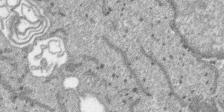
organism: Human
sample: Lung epithelial cells infected with SARS-CoV-2